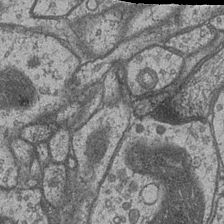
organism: Drosophila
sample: Optic medulla